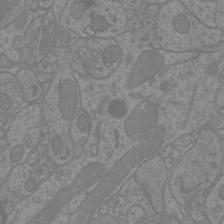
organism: Mouse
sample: Cortical neurons